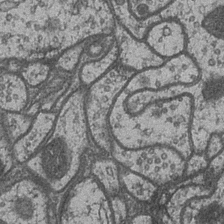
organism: Drosophila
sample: Optic medulla